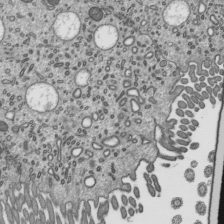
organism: Mouse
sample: Mouse epididymis efferent ductule cilia